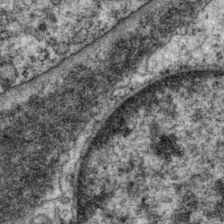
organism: P. pacificus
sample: Pharynx